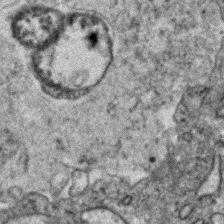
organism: Human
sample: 1205lu cells